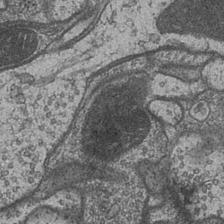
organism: Drosophila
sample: Optic medulla